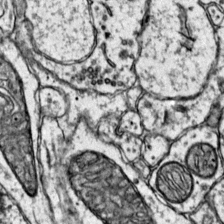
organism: Mouse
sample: Primary visual cortex